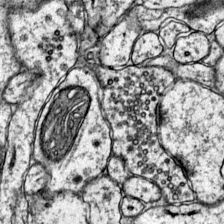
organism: Mouse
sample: Primary visual cortex